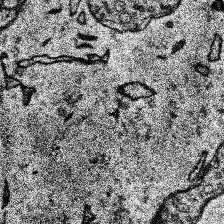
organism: Human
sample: Temporal Lobe